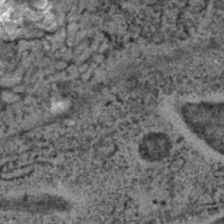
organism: C. elegans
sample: C. elegans embryo